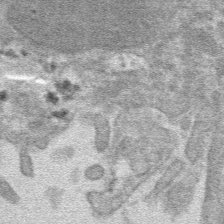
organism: Mouse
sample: Mouse hepatocytes